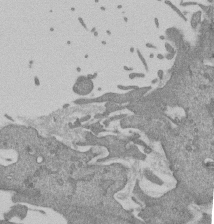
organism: Mouse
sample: ED-1 cell nuclei; centrioles